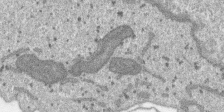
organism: Human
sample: Lung epithelial cells infected with SARS-CoV-2